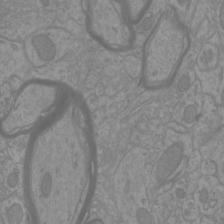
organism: Mouse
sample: Cortical neurons